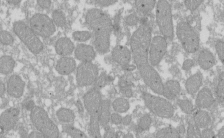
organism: Xenopus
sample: Cilia; centrioles in frog embryo cells